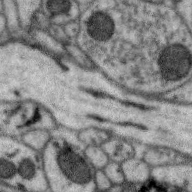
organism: Zebra finch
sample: Brain